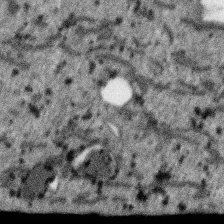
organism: Human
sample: Lung epithelial cells infected with SARS-CoV-2